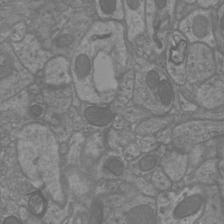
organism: Mouse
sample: Cortical neurons